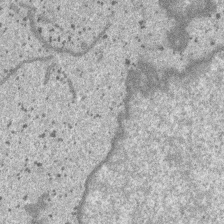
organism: Human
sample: Lung epithelial cells infected with SARS-CoV-2